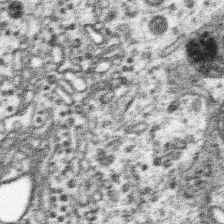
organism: Human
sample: HeLa cells